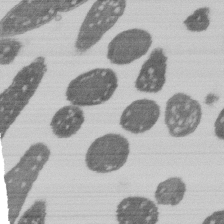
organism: E. coli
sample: Bacterial nucleoid